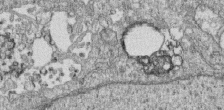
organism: Human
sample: HeLa cell HIV synapse